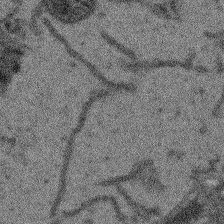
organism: Arabidopsis thaliana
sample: Root tip